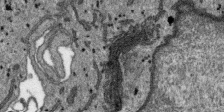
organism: Human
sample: Lung epithelial cells, uninfected (mock) control